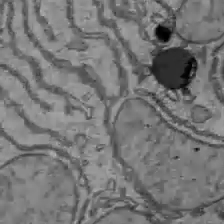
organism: C57BL Mouse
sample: Liver